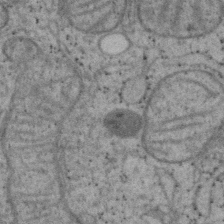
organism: Human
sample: HeLa cells